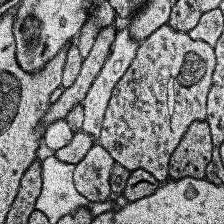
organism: Human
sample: Temporal Lobe